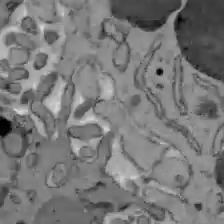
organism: C57BL Mouse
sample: Liver